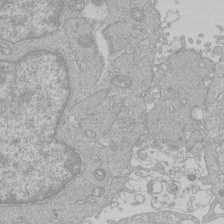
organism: Human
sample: Macrophage cells